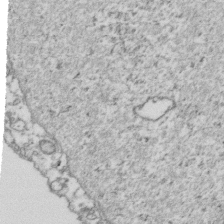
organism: Human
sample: Activated Jurkat CD4+ T cells